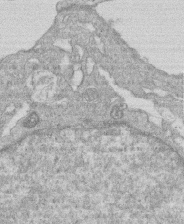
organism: Human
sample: Macrophage cells